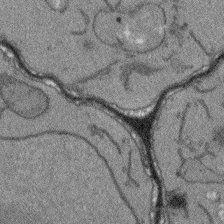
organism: Arabidopsis thaliana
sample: Root tip